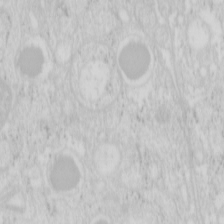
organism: Mouse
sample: Pancreas